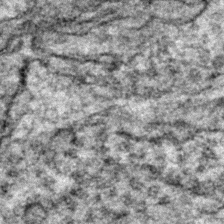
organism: Zebrafish